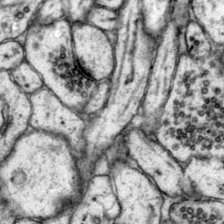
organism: Mouse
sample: Primary visual cortex